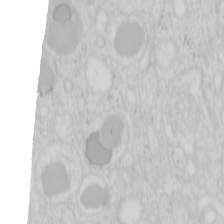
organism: Mouse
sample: Pancreas